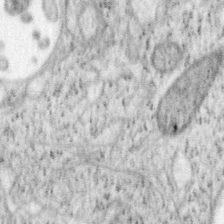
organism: Mouse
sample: OT-I killer T cells with ID8 ovarian cancer cells